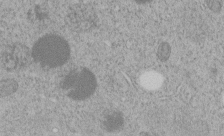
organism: C. elegans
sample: C. elegans embryo early stage